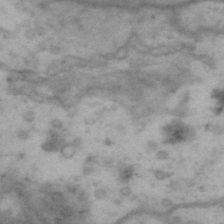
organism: Drosophila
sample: Brain